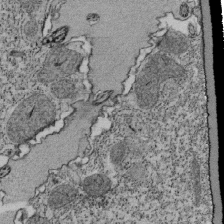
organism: Tetrahymena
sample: Cilia in tetrahymena